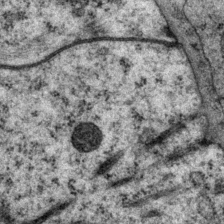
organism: P. pacificus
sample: Pharynx